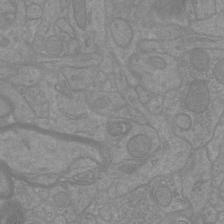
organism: Mouse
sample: Cortical neurons